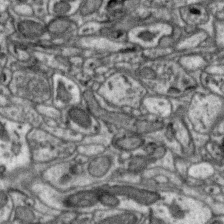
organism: Zebra finch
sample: Brain